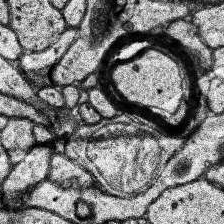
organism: Human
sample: Temporal Lobe